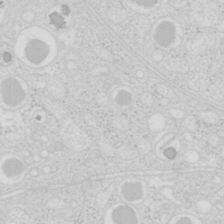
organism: Mouse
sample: Pancreas